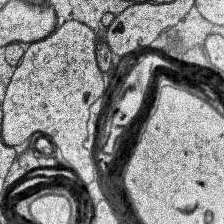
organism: Human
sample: Temporal Lobe